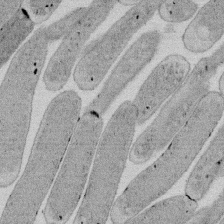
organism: E. coli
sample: Bacterial nucleoid